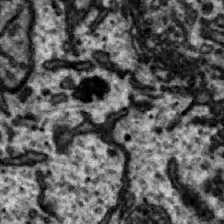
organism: Human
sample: HeLa cells